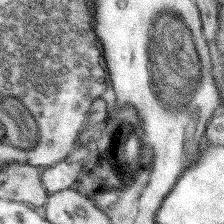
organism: Mouse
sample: Somatosensory cortex neuropil